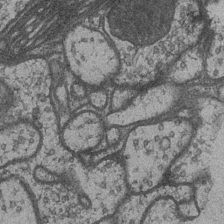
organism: Drosophila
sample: Optic medulla